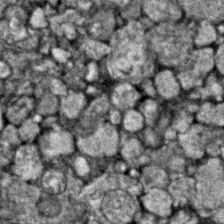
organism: Zebrafish